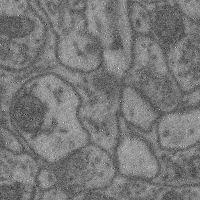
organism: Mouse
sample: Cerebral cortex